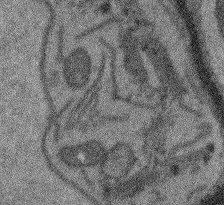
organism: Arabidopsis thaliana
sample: Root tip